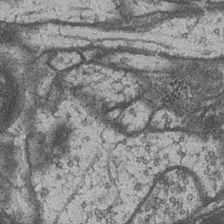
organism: Drosophila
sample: Optic medulla